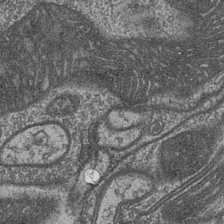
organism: Drosophila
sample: Optic medulla